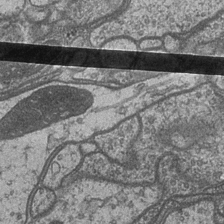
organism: Drosophila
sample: Optic medulla